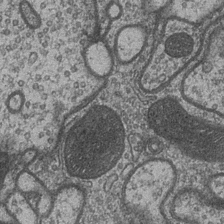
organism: Drosophila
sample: Optic medulla